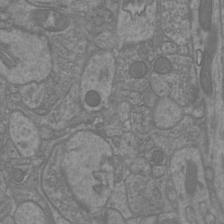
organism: Mouse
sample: Cortical neurons